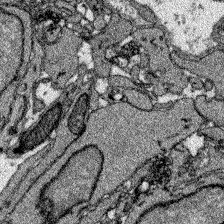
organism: Zebrafish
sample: Larval olfactory bulb